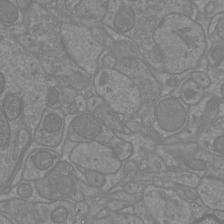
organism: Mouse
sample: Cortical neurons